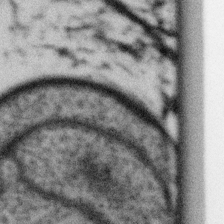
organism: Gemmata obscuriglobus